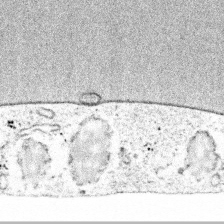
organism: Human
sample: HeLa cells